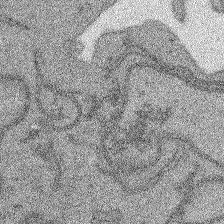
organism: Human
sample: HeLa cells